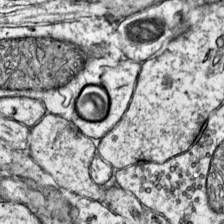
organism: Mouse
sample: Primary visual cortex